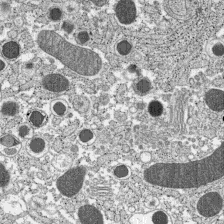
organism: C57BL Mouse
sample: Pancreatic islet